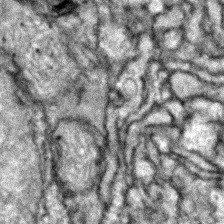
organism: Zebrafish